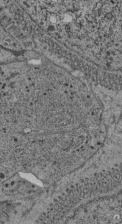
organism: C. elegans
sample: C. elegans pharynx